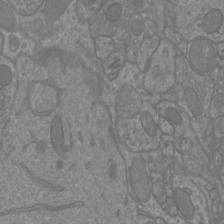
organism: Mouse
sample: Cortical neurons